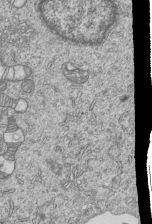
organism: Human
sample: MDA-MB-231 cells